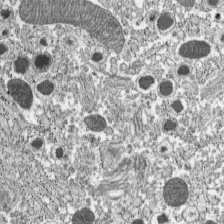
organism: C57BL Mouse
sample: Pancreatic islet